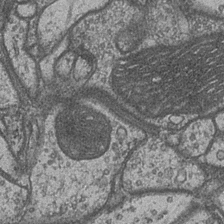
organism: Drosophila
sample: Optic medulla